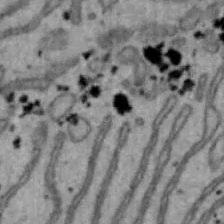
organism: Mouse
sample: Liver